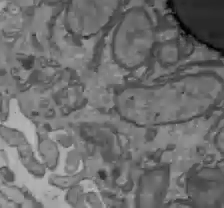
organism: C57BL Mouse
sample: Liver